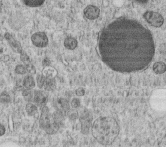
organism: C. elegans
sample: C. elegans embryo early stage